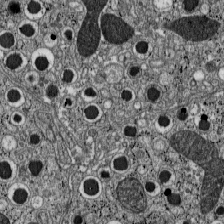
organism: C57BL Mouse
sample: Pancreatic islet